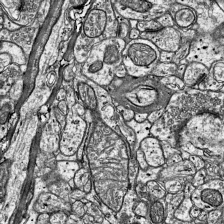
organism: Mouse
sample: Visual Cortex